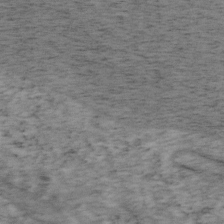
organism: Mouse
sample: OT-I killer T cells with ID8 ovarian cancer cells